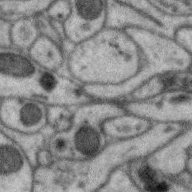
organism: Zebra finch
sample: Brain